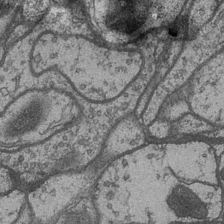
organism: Drosophila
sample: Optic medulla